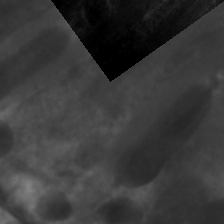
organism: C. elegans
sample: Pharynx